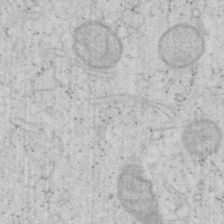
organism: Human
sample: HeLa cells